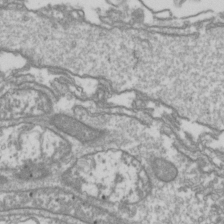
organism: Drosophila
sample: Cell division; meiosis; drosophila spermatocytes